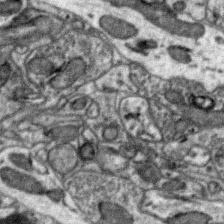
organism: Zebra finch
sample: Brain